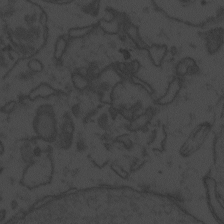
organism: Zebrafish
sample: Macrophage infected with Toxoplasma gondii